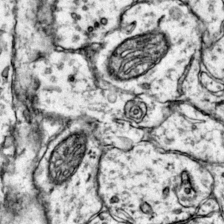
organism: Mouse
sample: Primary visual cortex